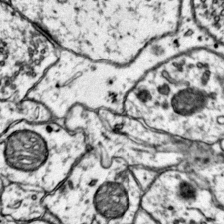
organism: Mouse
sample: Primary visual cortex